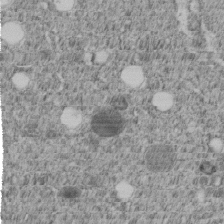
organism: C. elegans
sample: C. elegans embryo early stage